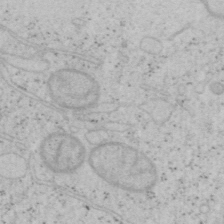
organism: Human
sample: HeLa cells